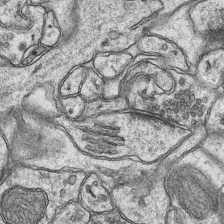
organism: Mouse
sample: CA1 Hippocampus